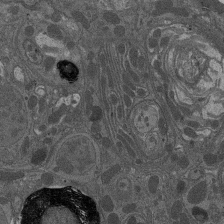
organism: Drosophila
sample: Antenna